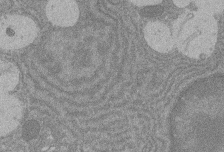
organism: Rat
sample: Salivary granule